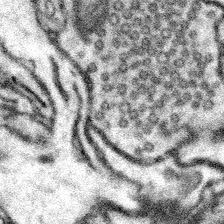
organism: Mouse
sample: Somatosensory cortex neuropil